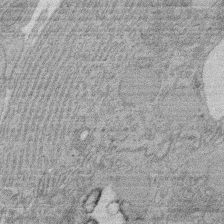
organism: Rat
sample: Salivary granule